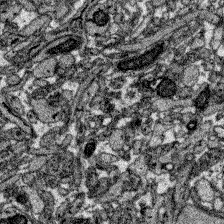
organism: Zebrafish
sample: Larval olfactory bulb